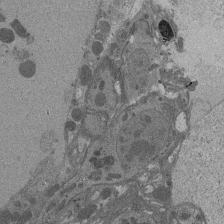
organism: Drosophila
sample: Antenna